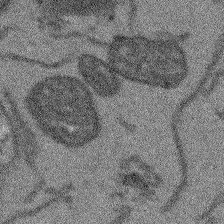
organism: Arabidopsis thaliana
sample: Root tip